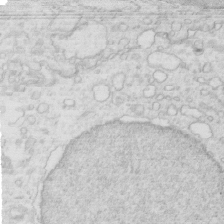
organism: Mouse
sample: Multiciliated cells